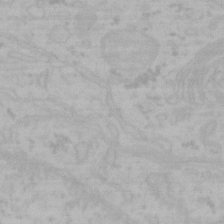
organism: Mouse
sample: Choroid plexus